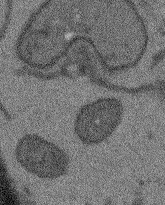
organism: Arabidopsis thaliana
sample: Root tip